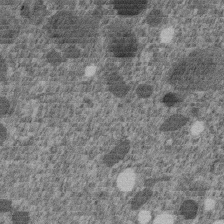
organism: C. elegans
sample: C. elegans embryo early stage